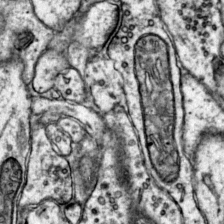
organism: Mouse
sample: Primary visual cortex